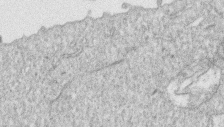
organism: Human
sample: HeLa cell HIV synapse